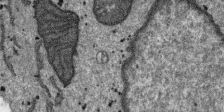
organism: Human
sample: Lung epithelial cells, uninfected (mock) control